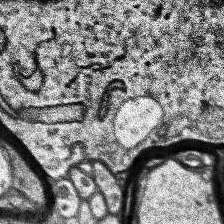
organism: Human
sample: Temporal Lobe